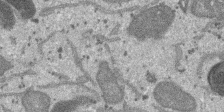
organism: Human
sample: Lung epithelial cells infected with SARS-CoV-2